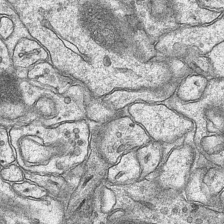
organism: Mouse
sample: CA1 Hippocampus